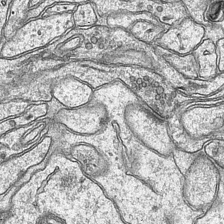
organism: Mouse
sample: CA1 Hippocampus